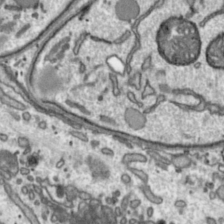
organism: Toxoplasma gondii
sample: Parasites in a vacuole inside a host cell